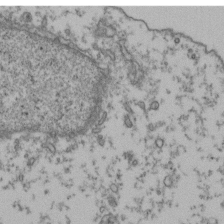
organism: Human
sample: Activated Jurkat CD4+ T cells